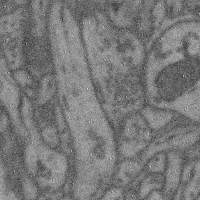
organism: Mouse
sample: Cerebral cortex